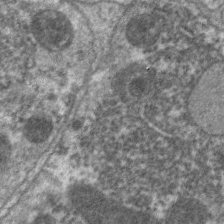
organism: C. elegans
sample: Pharynx